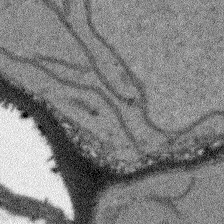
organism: Arabidopsis thaliana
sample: Root tip